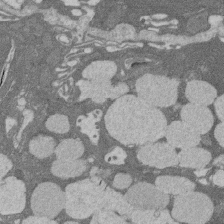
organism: Rat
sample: Salivary granule